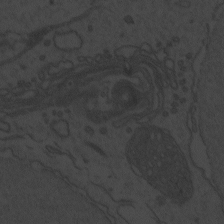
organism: Zebrafish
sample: Macrophage infected with Toxoplasma gondii